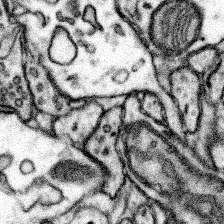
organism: Mouse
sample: Somatosensory cortex neuropil